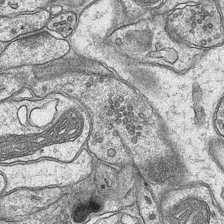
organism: Mouse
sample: CA1 Hippocampus